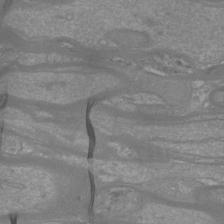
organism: Mouse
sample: Cortical neurons